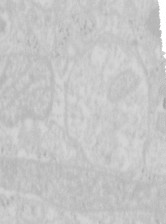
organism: Mouse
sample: Pancreas